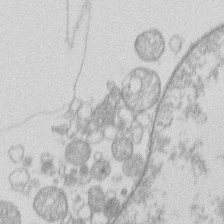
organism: Human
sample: Macrophage cells